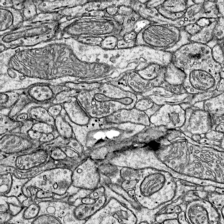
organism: Mouse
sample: Visual Cortex